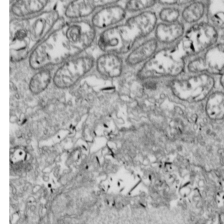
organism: Drosophila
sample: Cell division; meiosis; drosophila spermatocytes